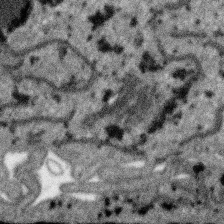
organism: Human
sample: Lung epithelial cells infected with SARS-CoV-2